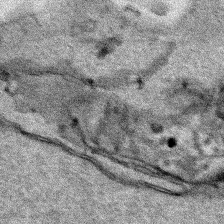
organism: Human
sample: Mitochondria in HCT116 cells